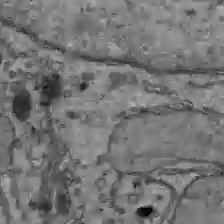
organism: C57BL Mouse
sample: Liver